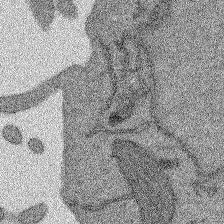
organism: Human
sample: HeLa cells